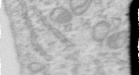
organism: Human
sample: Centriole in RPE cells